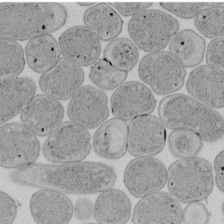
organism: E. coli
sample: Bacterial nucleoid